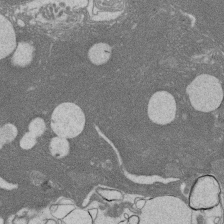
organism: Rat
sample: Salivary granule